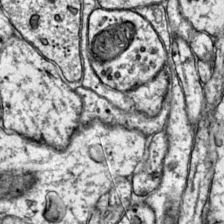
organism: Mouse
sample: Primary visual cortex